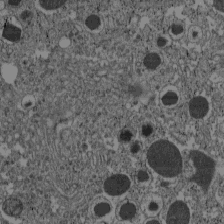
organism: C57BL Mouse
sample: Pancreatic islet